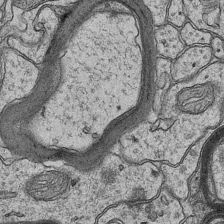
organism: Mouse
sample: CA1 Hippocampus